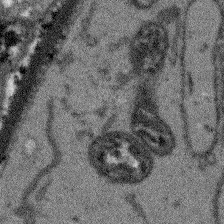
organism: Arabidopsis thaliana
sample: Root tip